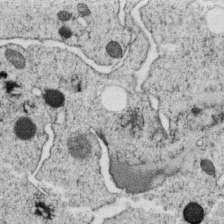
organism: C. elegans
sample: C. elegans oocyte; sperm cells